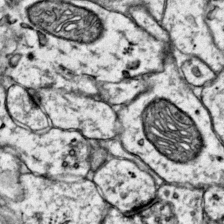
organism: Mouse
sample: Primary visual cortex